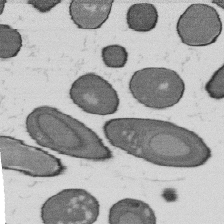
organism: B. subtilis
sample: Bacterial spore